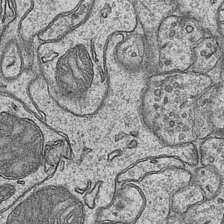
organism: Mouse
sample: CA1 Hippocampus